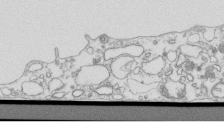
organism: Mouse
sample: Macrophages